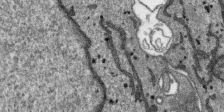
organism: Human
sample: Lung epithelial cells, uninfected (mock) control